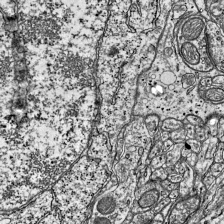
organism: Mouse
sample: Visual Cortex